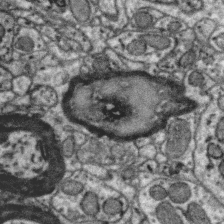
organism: Zebra finch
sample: Brain